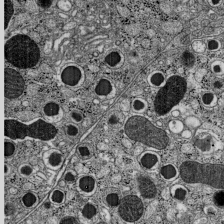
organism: C57BL Mouse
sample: Pancreatic islet